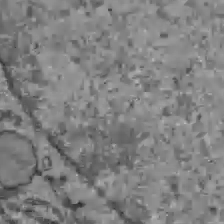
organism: C57BL Mouse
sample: Liver